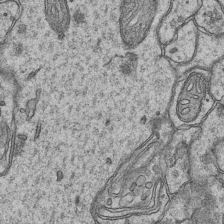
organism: Mouse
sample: CA1 Hippocampus